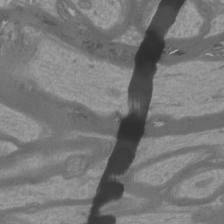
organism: Mouse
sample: Cortical neurons